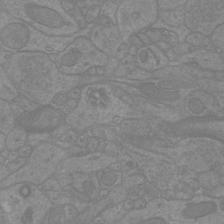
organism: Mouse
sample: Cortical neurons